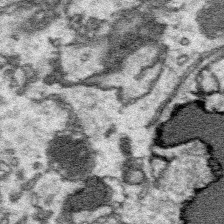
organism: Platynereis dumerilii